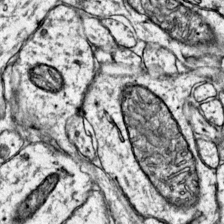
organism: Mouse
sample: Primary visual cortex